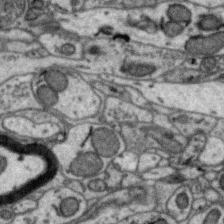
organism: Zebra finch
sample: Brain